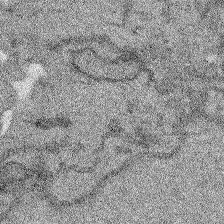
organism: Human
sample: HeLa cells